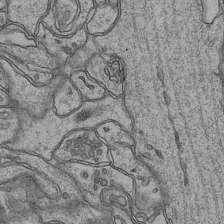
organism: Mouse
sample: CA1 Hippocampus